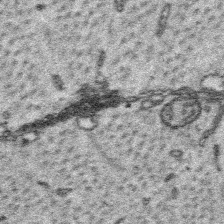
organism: Platynereis dumerilii